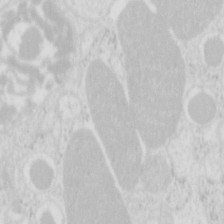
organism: Mouse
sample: Pancreas